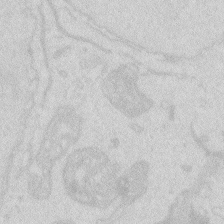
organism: Zebrafish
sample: Macrophage